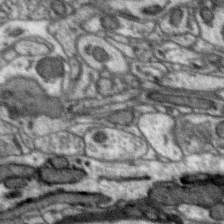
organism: Zebra finch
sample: Brain